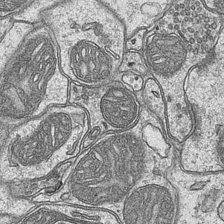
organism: Mouse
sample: CA1 Hippocampus